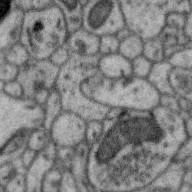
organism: Zebra finch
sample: Brain